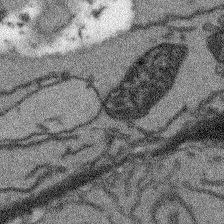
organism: Arabidopsis thaliana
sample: Root tip